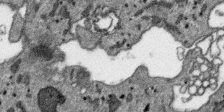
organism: Human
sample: Lung epithelial cells, uninfected (mock) control